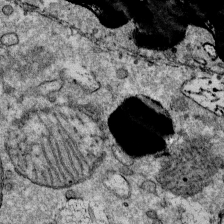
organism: Mouse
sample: Mouse Salivary gland